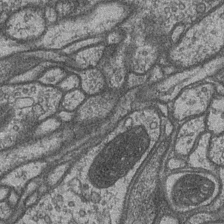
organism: Drosophila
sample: Optic medulla